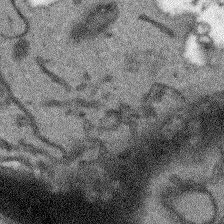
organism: Arabidopsis thaliana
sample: Root tip